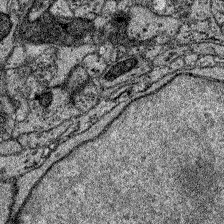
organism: Zebrafish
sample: Larval olfactory bulb